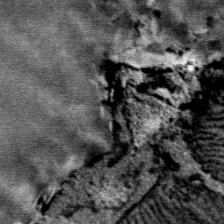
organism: Mouse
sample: Mouse Salivary gland